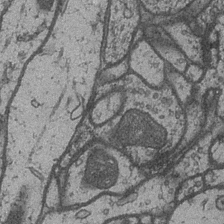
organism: Drosophila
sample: Optic medulla